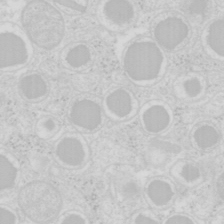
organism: Mouse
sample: Pancreas